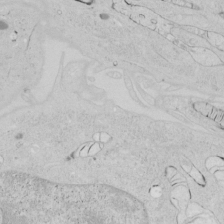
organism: Human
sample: Mitochondria in HCT116 cells